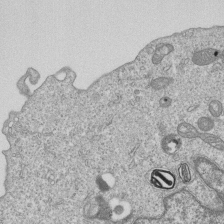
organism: Human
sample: MDA-MB-231 cells